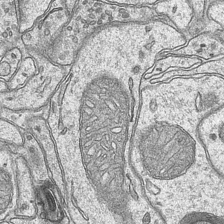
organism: Mouse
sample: CA1 Hippocampus